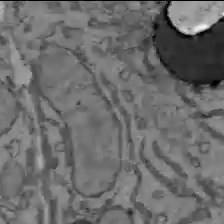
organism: C57BL Mouse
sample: Liver